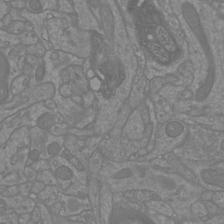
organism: Mouse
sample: Cortical neurons